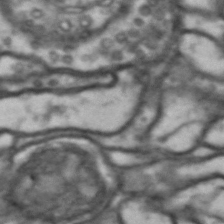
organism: Drosophila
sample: Brain